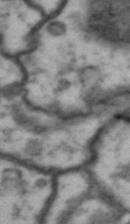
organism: Drosophila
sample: Brain